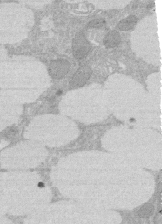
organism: Rat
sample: Salivary granule